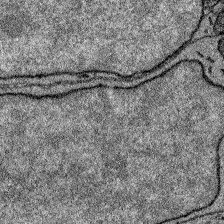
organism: Zebrafish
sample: Larval olfactory bulb